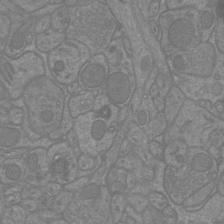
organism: Mouse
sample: Cortical neurons